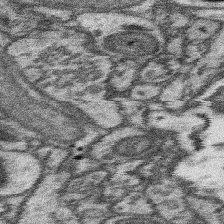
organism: Mouse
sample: Somatosensory cortex neuropil